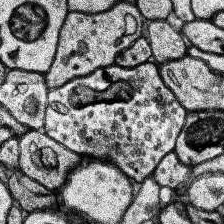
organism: Human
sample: Temporal Lobe